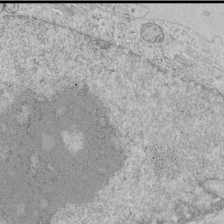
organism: Human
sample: Mitochondria in HCT116 cells